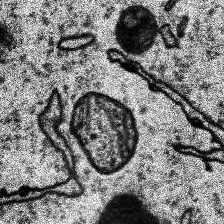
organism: Human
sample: Temporal Lobe